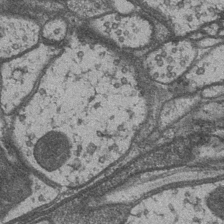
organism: Drosophila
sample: Optic medulla